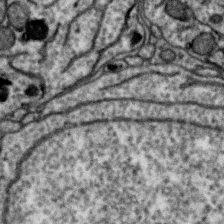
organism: Zebra finch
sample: Brain